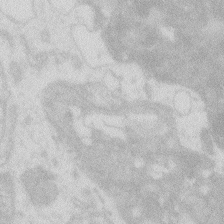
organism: Zebrafish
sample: Macrophage